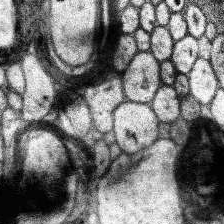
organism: Human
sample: Temporal Lobe